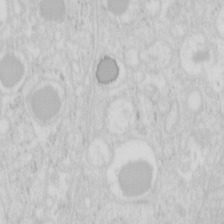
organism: Mouse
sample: Pancreas